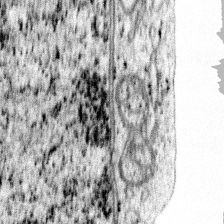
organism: Human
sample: HeLa cells